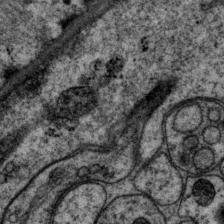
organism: P. pacificus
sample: Pharynx